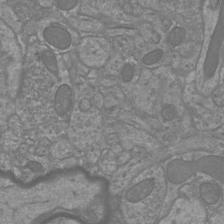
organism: Mouse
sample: Cortical neurons